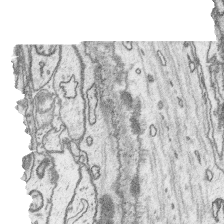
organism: Platynereis dumerilii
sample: Parapodia